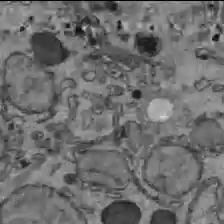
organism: C57BL Mouse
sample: Liver